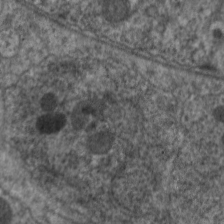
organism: C. elegans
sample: Pharynx